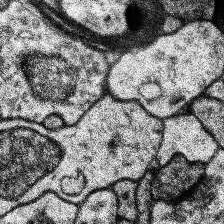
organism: Human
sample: Temporal Lobe